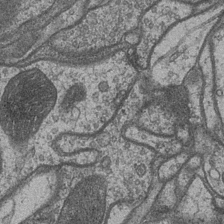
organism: Drosophila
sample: Optic medulla